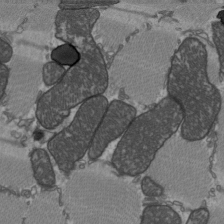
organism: C57BL Mouse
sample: Heart